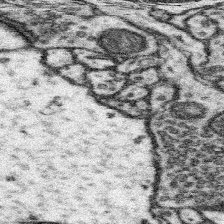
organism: Mouse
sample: Somatosensory cortex neuropil